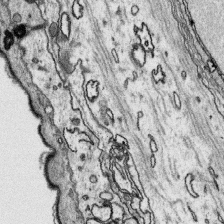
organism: Platynereis dumerilii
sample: Parapodia